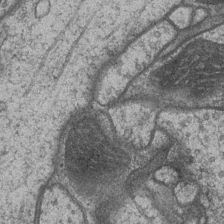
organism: Drosophila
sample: Optic medulla